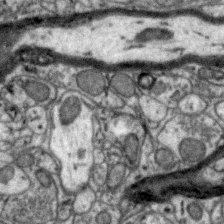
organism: Zebra finch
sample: Brain